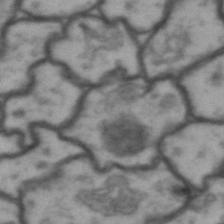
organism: Drosophila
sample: Brain